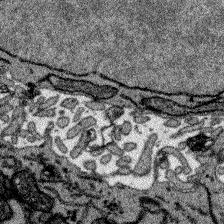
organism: Zebrafish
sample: Larval olfactory bulb